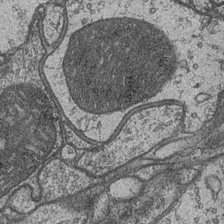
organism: Drosophila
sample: Optic medulla